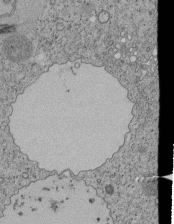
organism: Tetrahymena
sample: Cilia in tetrahymena